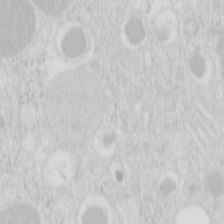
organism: Mouse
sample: Pancreas